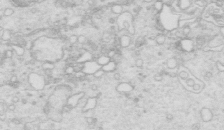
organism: Mouse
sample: Multiciliated cells